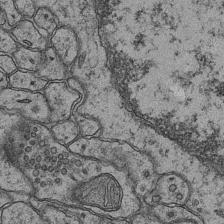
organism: Mouse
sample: CA1 Hippocampus